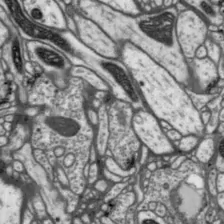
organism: Drosophila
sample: Protocerebral bridge